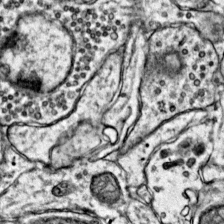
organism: Mouse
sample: Primary visual cortex